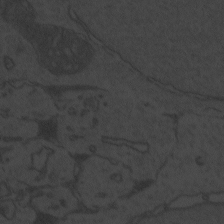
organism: Zebrafish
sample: Macrophage infected with Toxoplasma gondii